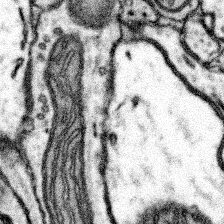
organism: Mouse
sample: Somatosensory cortex neuropil